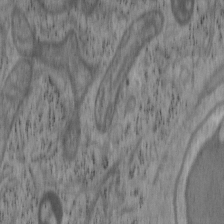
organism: Human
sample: HeLa cells